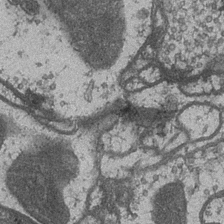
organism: Drosophila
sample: Optic medulla